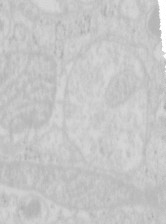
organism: Mouse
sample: Pancreas